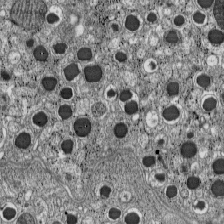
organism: C57BL Mouse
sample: Pancreatic islet